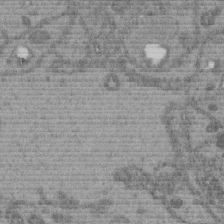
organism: C. elegans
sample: C. elegans embryo early stage